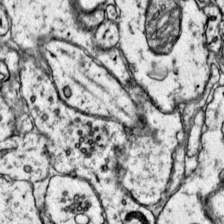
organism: Mouse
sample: Primary visual cortex